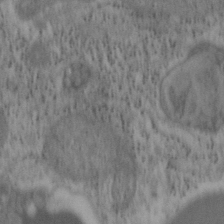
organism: Mouse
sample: OT-I killer T cells with ID8 ovarian cancer cells